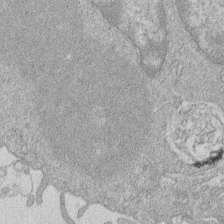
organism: Human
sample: Macrophage cells